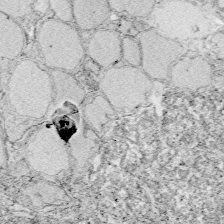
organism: Zebrafish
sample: Whole-Brain